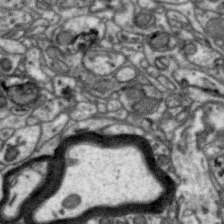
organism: Zebra finch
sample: Brain